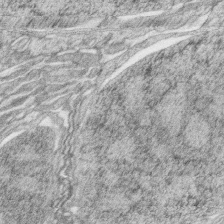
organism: Zebrafish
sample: synaptic ribbons in rod cells and cone cells